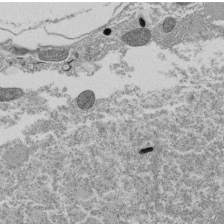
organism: Tetrahymena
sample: Cilia in tetrahymena